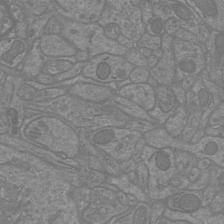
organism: Mouse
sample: Cortical neurons